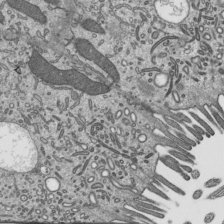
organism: Mouse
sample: Mouse epididymis efferent ductule cilia